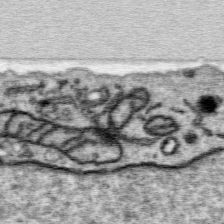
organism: Human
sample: HeLa cells